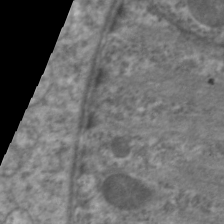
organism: C. elegans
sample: Pharynx